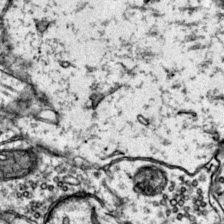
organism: Mouse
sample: Primary visual cortex